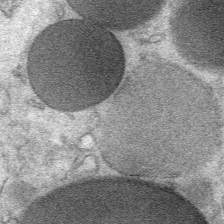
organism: Mouse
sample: Mouse Salivary gland